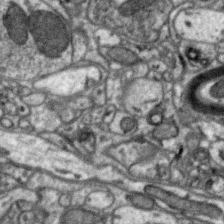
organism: Zebra finch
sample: Brain